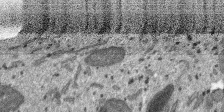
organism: Human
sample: Lung epithelial cells infected with SARS-CoV-2